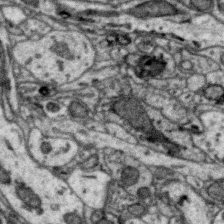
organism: Zebra finch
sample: Brain